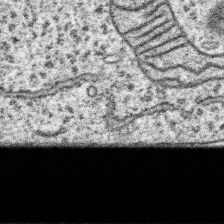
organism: Human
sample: HeLa cells